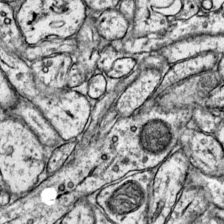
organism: Mouse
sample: Primary visual cortex